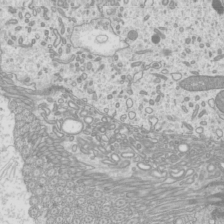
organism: Mouse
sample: Cilia; mouse epididymis